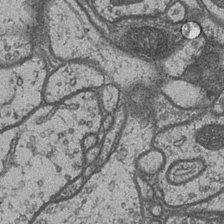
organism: Drosophila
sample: Optic medulla